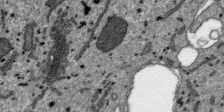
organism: Human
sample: Lung epithelial cells, uninfected (mock) control